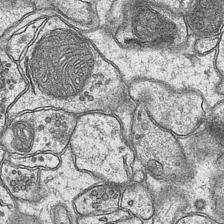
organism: Mouse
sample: CA1 Hippocampus